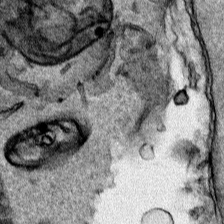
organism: Human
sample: Mitochondria in HCT116 cells